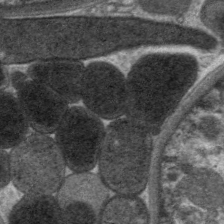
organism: C. elegans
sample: Pharynx